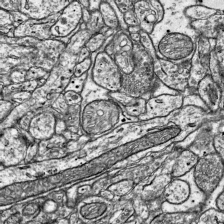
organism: Mouse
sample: Visual Cortex